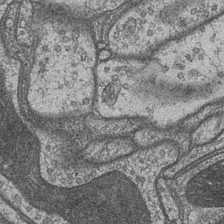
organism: Drosophila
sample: Optic medulla